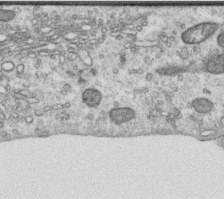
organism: Human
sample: Centriole in RPE cells